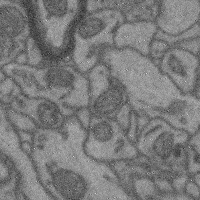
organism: Mouse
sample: Cerebral cortex